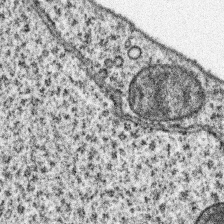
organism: Human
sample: HeLa cells